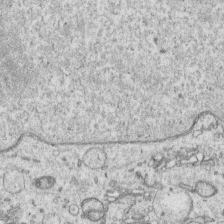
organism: Human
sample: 1205lu cells